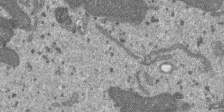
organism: Human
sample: Lung epithelial cells infected with SARS-CoV-2